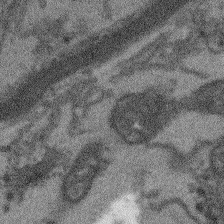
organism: Arabidopsis thaliana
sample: Root tip